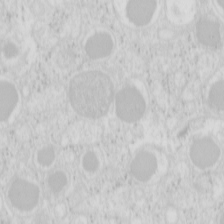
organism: Mouse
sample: Pancreas